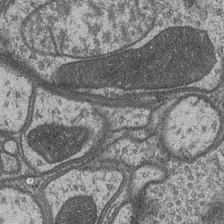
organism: Drosophila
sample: Optic medulla